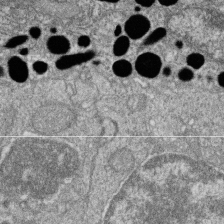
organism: Zebrafish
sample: Cilia; retinal pigment epithelium